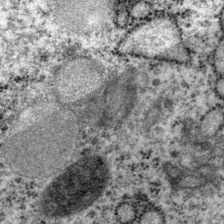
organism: P. pacificus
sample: Pharynx